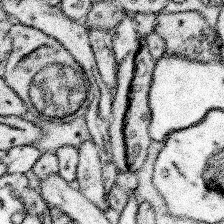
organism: Mouse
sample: Somatosensory cortex neuropil